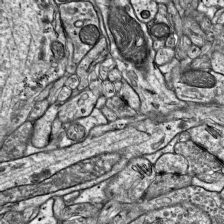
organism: Mouse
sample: Visual Cortex